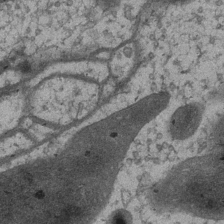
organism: Drosophila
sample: Optic medulla